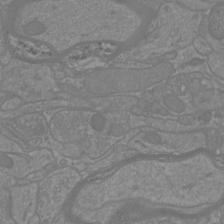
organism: Mouse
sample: Cortical neurons